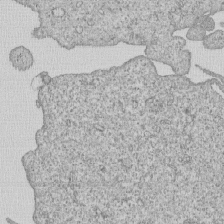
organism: Human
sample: MDA-MB-231 cells